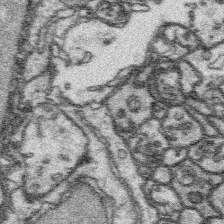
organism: Platynereis dumerilii